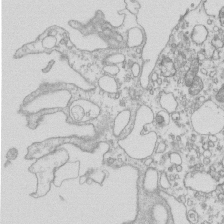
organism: Mouse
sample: Macrophages